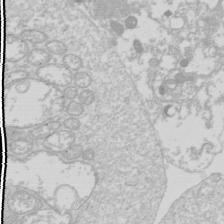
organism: Drosophila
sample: Cell division; meiosis; drosophila spermatocytes